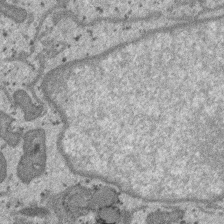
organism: Human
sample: Lung epithelial cells infected with SARS-CoV-2